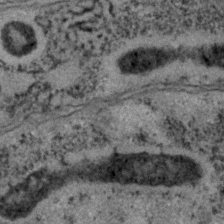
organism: C. elegans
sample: C. elegans embryo